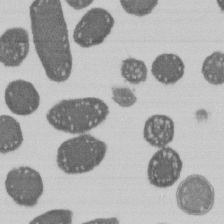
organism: E. coli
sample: Bacterial nucleoid